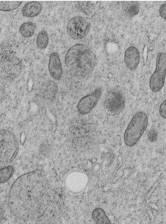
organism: C. elegans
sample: C. elegans embryo early stage